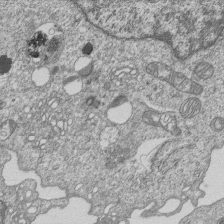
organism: Human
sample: MDA-MB-231 cells